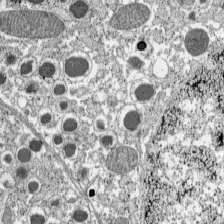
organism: C57BL Mouse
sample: Pancreatic islet